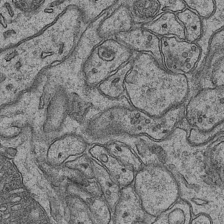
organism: Mouse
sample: CA1 Hippocampus